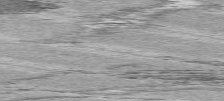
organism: C57BL Mouse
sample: Heart